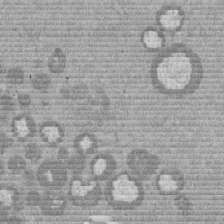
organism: Mouse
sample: Dividing mouse embryo 1 cell stage